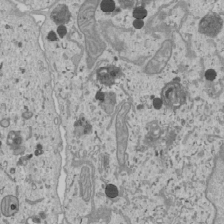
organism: Human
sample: Mitochondria in U2OS cells